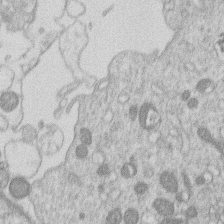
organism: Human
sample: Macrophage cells